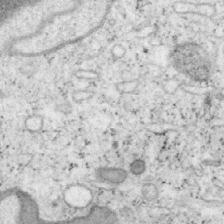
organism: Mouse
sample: OT-I killer T cells with ID8 ovarian cancer cells